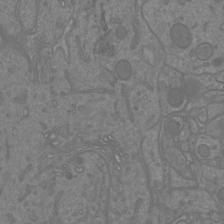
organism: Mouse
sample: Cortical neurons